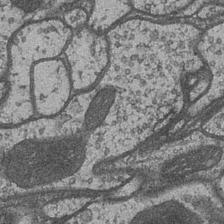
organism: Drosophila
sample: Optic medulla